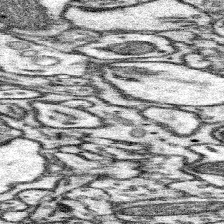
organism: Mouse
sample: Somatosensory cortex neuropil